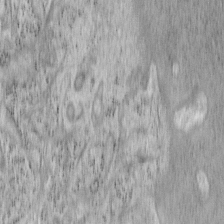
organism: Human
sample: HeLa cells